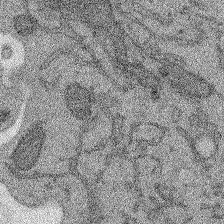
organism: Human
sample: HeLa cells